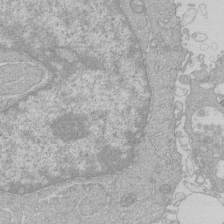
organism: Human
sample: Macrophage cells